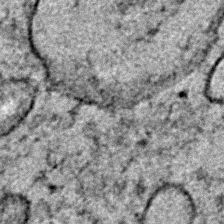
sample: Trachea